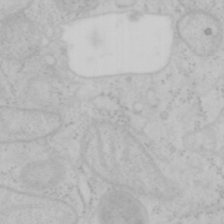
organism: Mouse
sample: OT-I killer T cells with ID8 ovarian cancer cells